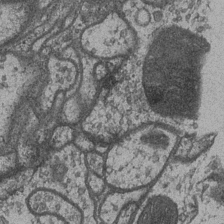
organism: Drosophila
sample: Optic medulla